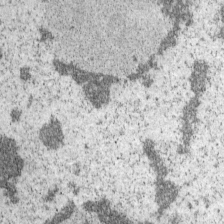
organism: Mouse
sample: OT-I killer T cells with ID8 ovarian cancer cells